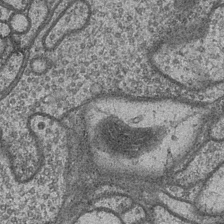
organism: Drosophila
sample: Optic medulla